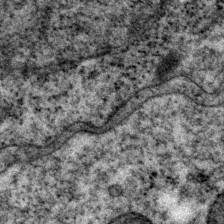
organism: P. pacificus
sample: Pharynx